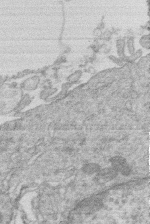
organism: Human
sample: Macrophage cells